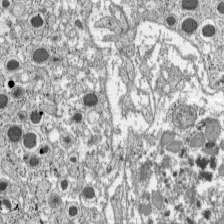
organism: C57BL Mouse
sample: Pancreatic islet